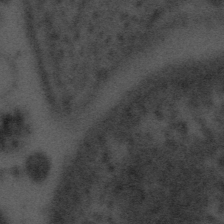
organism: Tuwongella immobilis